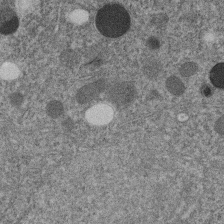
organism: C. elegans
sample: C. elegans embryo early stage